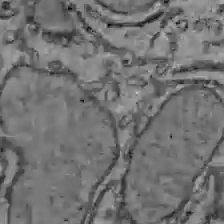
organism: C57BL Mouse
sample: Liver